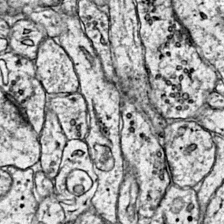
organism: Mouse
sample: Primary visual cortex